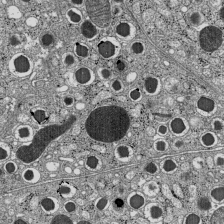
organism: C57BL Mouse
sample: Pancreatic islet